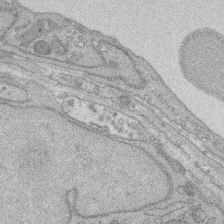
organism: Rat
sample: Salivary granule